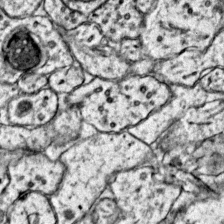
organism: Mouse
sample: Primary visual cortex